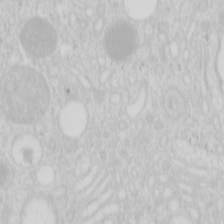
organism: Mouse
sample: Pancreas